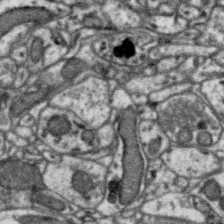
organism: Zebra finch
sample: Brain